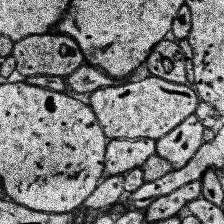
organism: Human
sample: Temporal Lobe